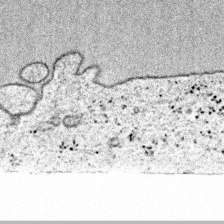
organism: Human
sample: HeLa cells